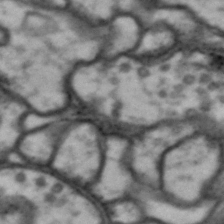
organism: Drosophila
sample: Brain